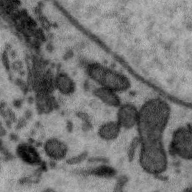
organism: Zebra finch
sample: Brain